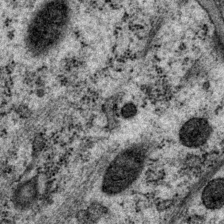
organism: P. pacificus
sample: Pharynx